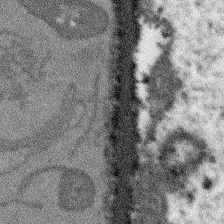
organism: Arabidopsis thaliana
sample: Root tip